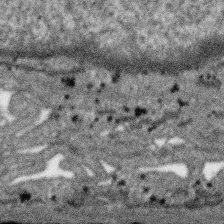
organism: Human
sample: Lung epithelial cells infected with SARS-CoV-2